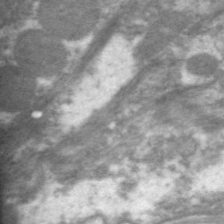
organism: C. elegans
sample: Pharynx